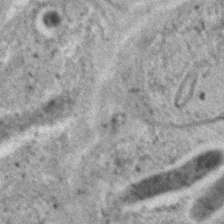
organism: C. elegans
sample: C. elegans embryo